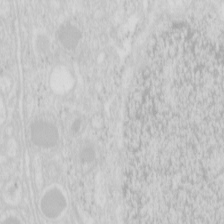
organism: Mouse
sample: Pancreas